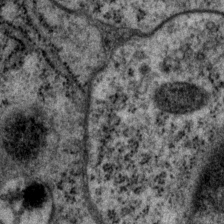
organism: P. pacificus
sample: Pharynx